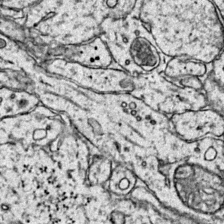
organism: Mouse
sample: Primary visual cortex